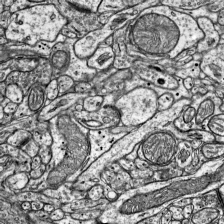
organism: Mouse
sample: Visual Cortex